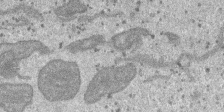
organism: Human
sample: Lung epithelial cells infected with SARS-CoV-2